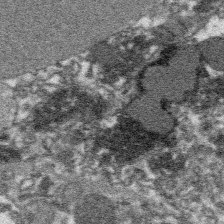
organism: Platynereis dumerilii